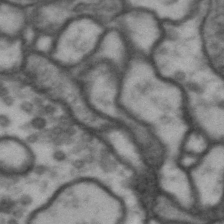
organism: Drosophila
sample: Brain